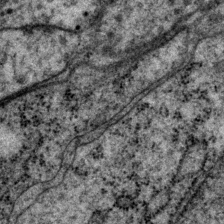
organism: P. pacificus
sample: Pharynx